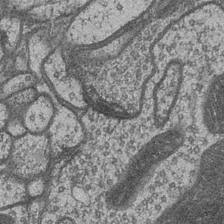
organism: Drosophila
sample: Optic medulla